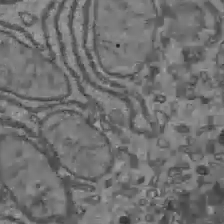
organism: C57BL Mouse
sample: Liver